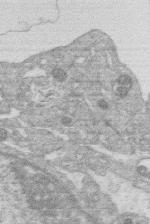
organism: Human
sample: Macrophage cells